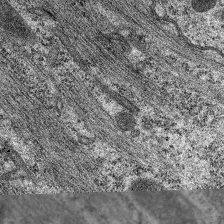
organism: C. elegans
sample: Pharynx